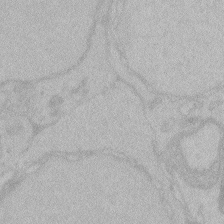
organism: Zebrafish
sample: Macrophage infected with Toxoplasma gondii